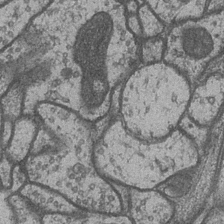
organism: Drosophila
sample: Optic medulla